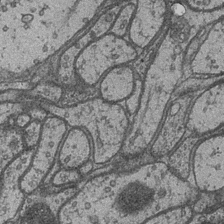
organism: Drosophila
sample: Optic medulla